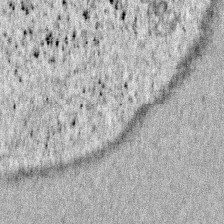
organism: Human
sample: HeLa cells